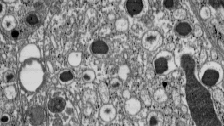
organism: C57BL Mouse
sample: Pancreatic islet